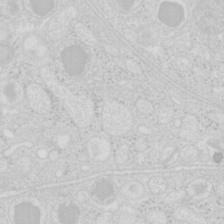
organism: Mouse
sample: Pancreas